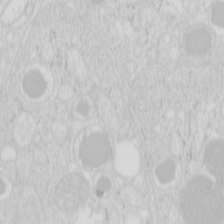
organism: Mouse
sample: Pancreas